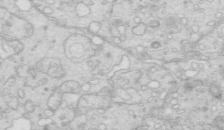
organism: Mouse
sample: Multiciliated cells